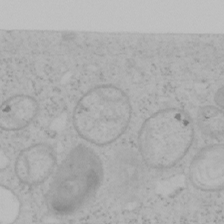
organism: Mouse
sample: OT-I killer T cells with ID8 ovarian cancer cells